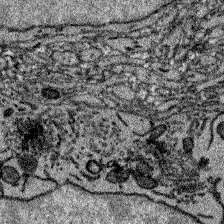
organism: Zebrafish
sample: Larval olfactory bulb